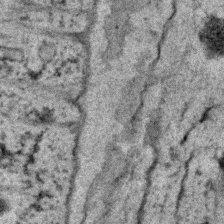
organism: C. elegans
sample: C. elegans embryo